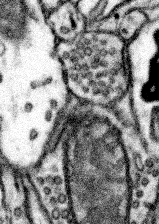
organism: Mouse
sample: Somatosensory cortex neuropil